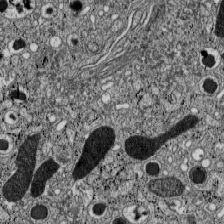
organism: C57BL Mouse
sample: Pancreatic islet